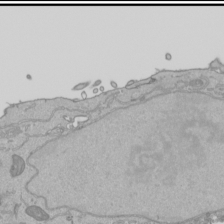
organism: Human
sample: Mitochondria in HCT116 cells